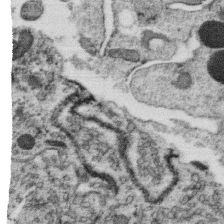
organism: C. elegans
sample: C. elegans oocyte; sperm cells